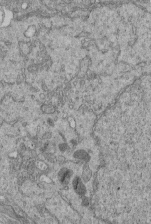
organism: Human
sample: Retinal organoid Rod and Cone cells